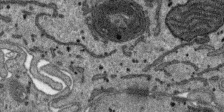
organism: Human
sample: Lung epithelial cells, uninfected (mock) control